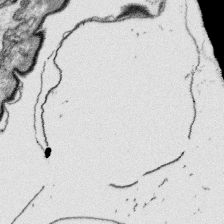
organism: Platynereis dumerilii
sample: Parapodia